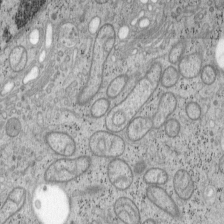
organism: Mouse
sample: OT-I killer T cells with ID8 ovarian cancer cells